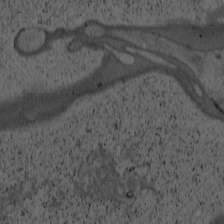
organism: African green monkey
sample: COS-7 cells